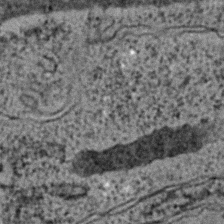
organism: C. elegans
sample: C. elegans embryo